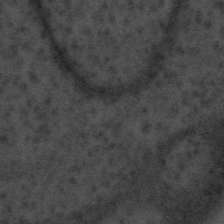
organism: Tuwongella immobilis